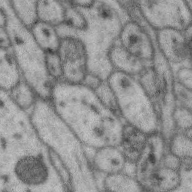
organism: Zebra finch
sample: Brain